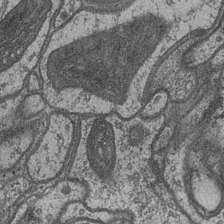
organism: Drosophila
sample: Optic medulla